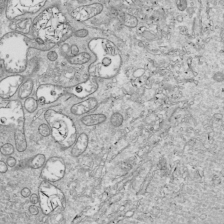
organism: Drosophila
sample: Cell division; meiosis; drosophila spermatocytes